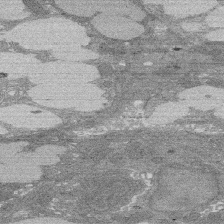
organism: Rat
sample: Salivary granule